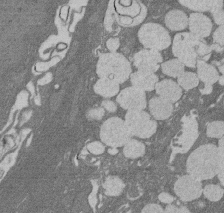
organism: Rat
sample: Salivary granule